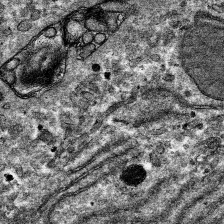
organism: Mouse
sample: Mouse hepatocytes